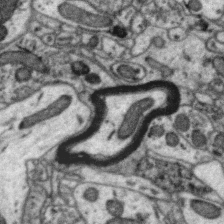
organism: Zebra finch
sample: Brain